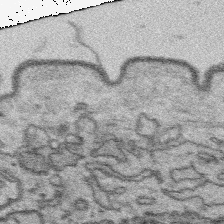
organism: Platynereis dumerilii